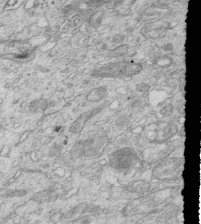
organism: Mouse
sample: Multiciliated cells